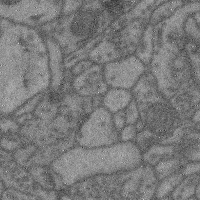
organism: Mouse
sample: Cerebral cortex